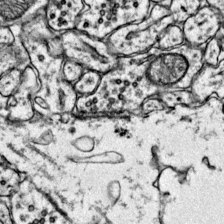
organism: Mouse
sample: Primary visual cortex